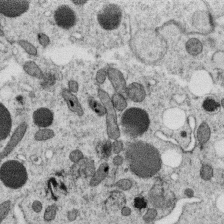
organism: C. elegans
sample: C. elegans oocyte; sperm cells